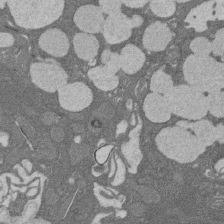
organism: Rat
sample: Salivary granule